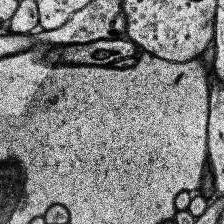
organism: Human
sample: Temporal Lobe